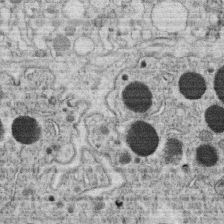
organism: C. elegans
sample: C. elegans oocyte; sperm cells